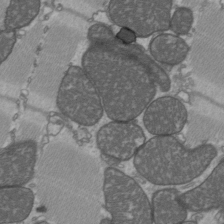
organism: C57BL Mouse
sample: Heart